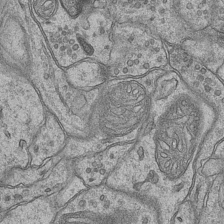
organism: Mouse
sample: CA1 Hippocampus